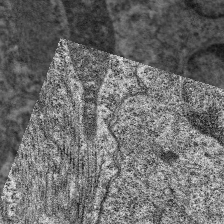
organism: C. elegans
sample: Pharynx